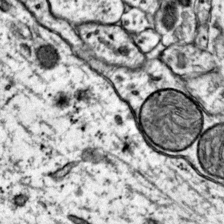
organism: Mouse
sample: Primary visual cortex